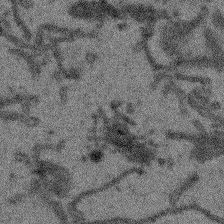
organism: Arabidopsis thaliana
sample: Root tip